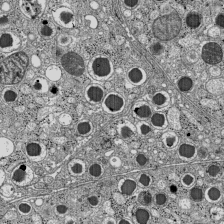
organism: C57BL Mouse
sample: Pancreatic islet